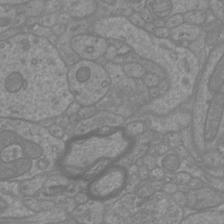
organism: Mouse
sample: Cortical neurons